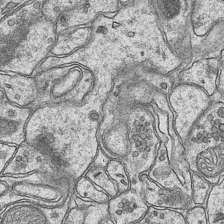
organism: Mouse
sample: CA1 Hippocampus